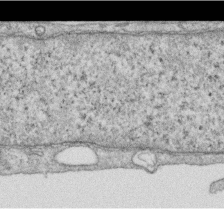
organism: Human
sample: Centriole in RPE cells